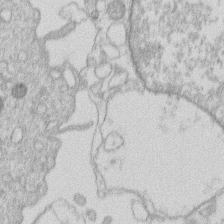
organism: Human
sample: Macrophage cells